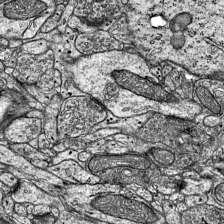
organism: Mouse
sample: Visual Cortex